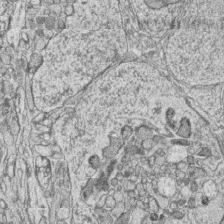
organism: Zebrafish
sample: synaptic ribbons in rod cells and cone cells